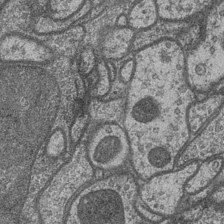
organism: Drosophila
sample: Optic medulla